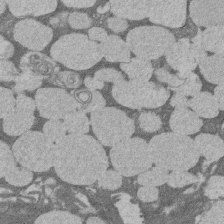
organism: Rat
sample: Salivary granule